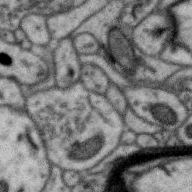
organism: Zebra finch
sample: Brain